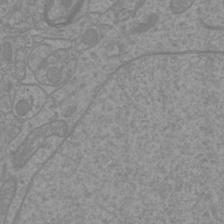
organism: Mouse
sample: Cortical neurons